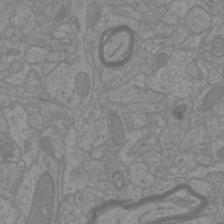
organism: Mouse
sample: Cortical neurons